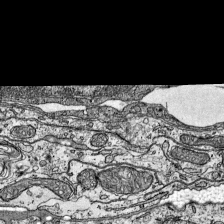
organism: Mouse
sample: Visual Cortex